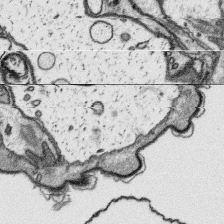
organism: Platynereis dumerilii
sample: Parapodia